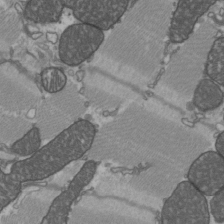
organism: C57BL Mouse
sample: Heart